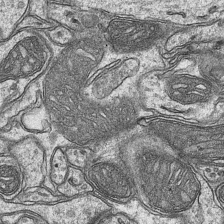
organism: Mouse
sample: CA1 Hippocampus